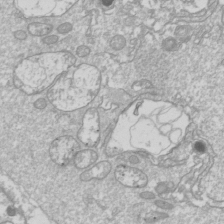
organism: Drosophila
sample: Cell division; meiosis; drosophila spermatocytes